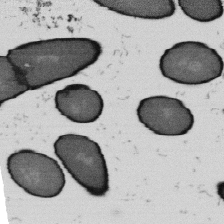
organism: B. subtilis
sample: Bacterial spore